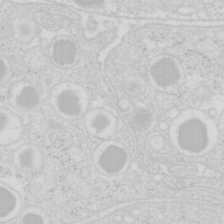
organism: Mouse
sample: Pancreas